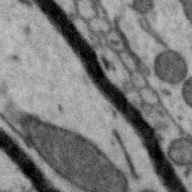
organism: Zebra finch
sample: Brain